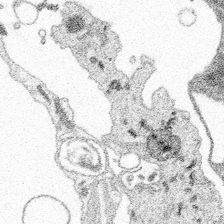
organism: Spongilla lacustris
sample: Multiple